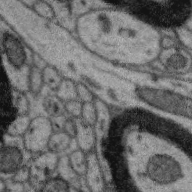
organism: Zebra finch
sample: Brain